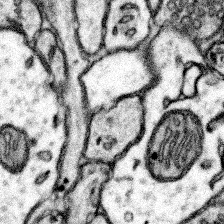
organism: Mouse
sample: Somatosensory cortex neuropil